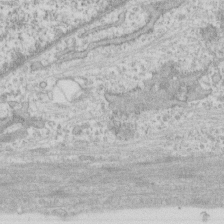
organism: Human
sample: CRL-1474